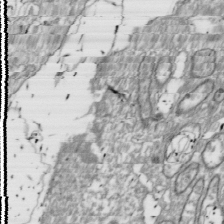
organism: Drosophila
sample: Cell division; meiosis; drosophila spermatocytes